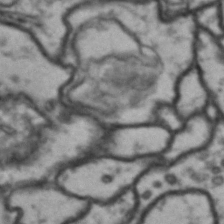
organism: Drosophila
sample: Brain